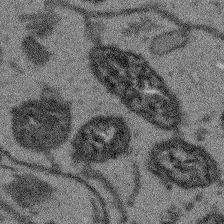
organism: Arabidopsis thaliana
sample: Root tip